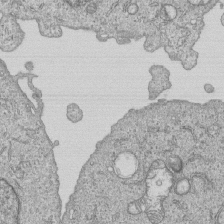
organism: Human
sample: MDA-MB-231 cells